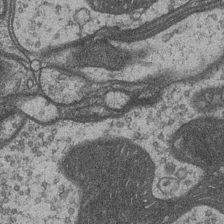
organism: Drosophila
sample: Optic medulla